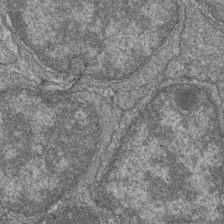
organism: Zebrafish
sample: Cilia; retinal pigment epithelium